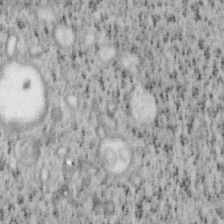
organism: Mouse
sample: OT-I killer T cells with ID8 ovarian cancer cells